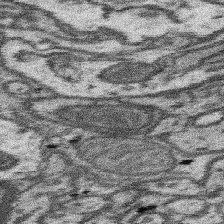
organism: Mouse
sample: Somatosensory cortex neuropil